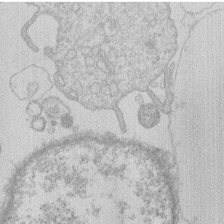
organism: Human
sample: Macrophage cells